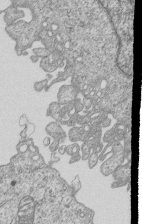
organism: Human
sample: MDA-MB-231 cells